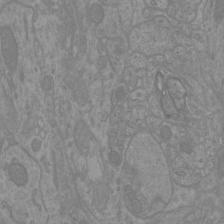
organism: Mouse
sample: Cortical neurons